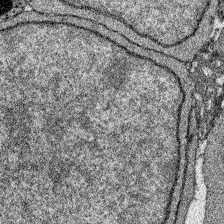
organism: Zebrafish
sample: Larval olfactory bulb